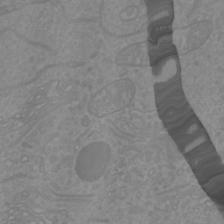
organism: Mouse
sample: Cortical neurons